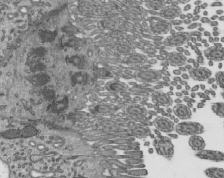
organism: Mouse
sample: Mouse epididymis efferent ductule cilia